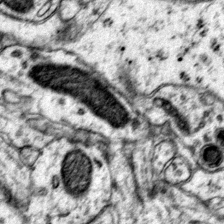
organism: Mouse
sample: Primary visual cortex